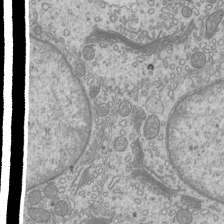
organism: Mouse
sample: Cilia; mouse epididymis